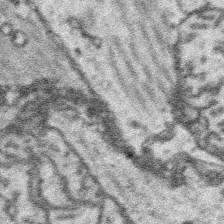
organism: Platynereis dumerilii